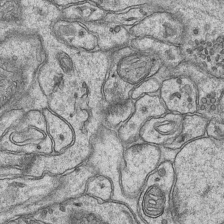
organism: Mouse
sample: CA1 Hippocampus